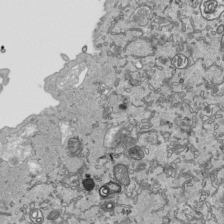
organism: Human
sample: Mitochondria in HCT116 cells